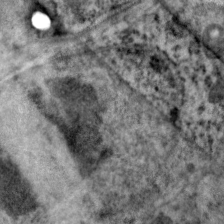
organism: C. elegans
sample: Pharynx